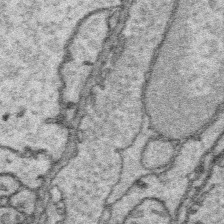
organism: Platynereis dumerilii